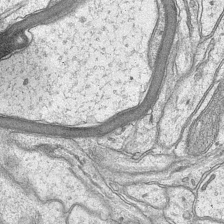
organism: Mouse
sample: CA1 Hippocampus